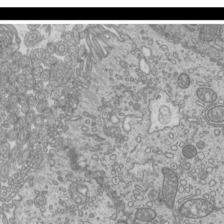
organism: Mouse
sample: Cilia; mouse epididymis